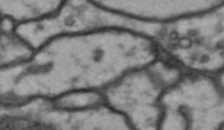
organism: Drosophila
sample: Brain